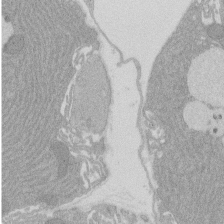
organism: Rat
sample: Salivary granule